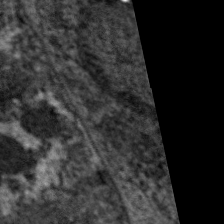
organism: C. elegans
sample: Pharynx